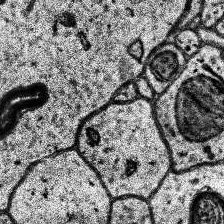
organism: Human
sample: Temporal Lobe